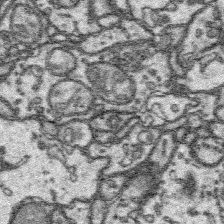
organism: Platynereis dumerilii